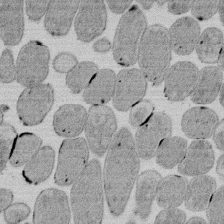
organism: E. coli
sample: Bacterial nucleoid